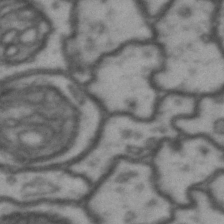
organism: Drosophila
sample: Brain